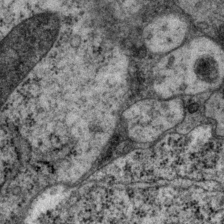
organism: P. pacificus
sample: Pharynx